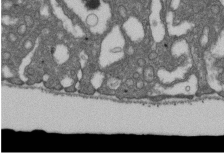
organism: Drosophila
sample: Nephrocyte